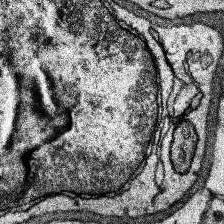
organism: Human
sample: Temporal Lobe